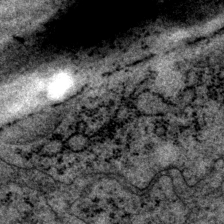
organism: P. pacificus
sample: Pharynx